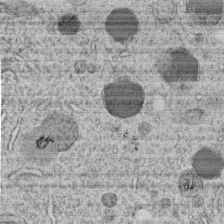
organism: C. elegans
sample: C. elegans embryo early stage